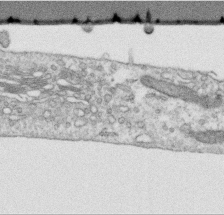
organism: Human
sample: Centriole in RPE cells